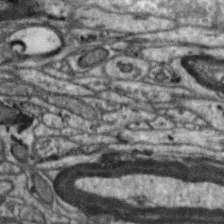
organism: Zebra finch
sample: Brain